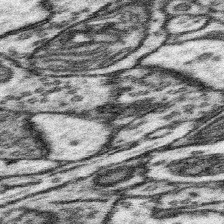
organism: Mouse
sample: Somatosensory cortex neuropil